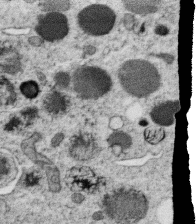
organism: C. elegans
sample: C. elegans oocyte; sperm cells